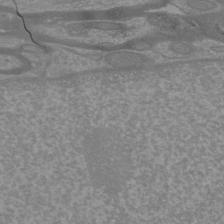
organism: Mouse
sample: Cortical neurons